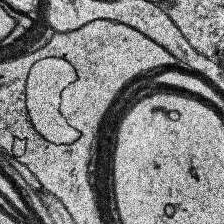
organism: Human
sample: Temporal Lobe